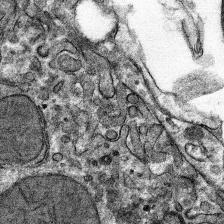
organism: Mouse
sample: Mouse hepatocytes